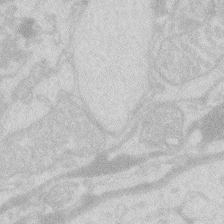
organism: Zebrafish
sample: Macrophage